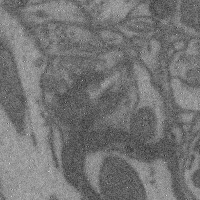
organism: Mouse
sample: Cerebral cortex